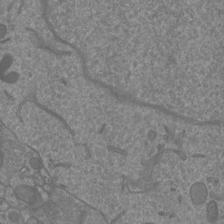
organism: Mouse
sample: Cortical neurons